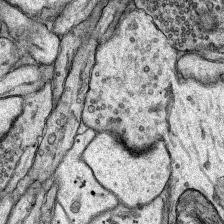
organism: Rat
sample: Hippocampus